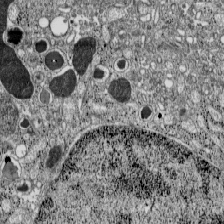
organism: C57BL Mouse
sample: Pancreatic islet